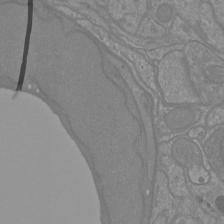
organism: Mouse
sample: Cortical neurons